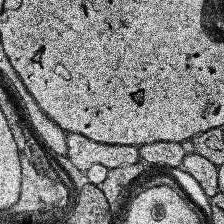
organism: Human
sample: Temporal Lobe